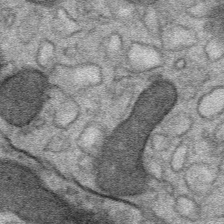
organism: Mouse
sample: Mouse Salivary gland